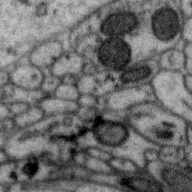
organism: Zebra finch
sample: Brain